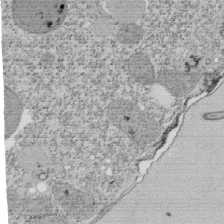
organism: Tetrahymena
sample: Cilia in tetrahymena